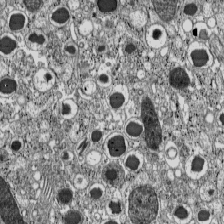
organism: C57BL Mouse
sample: Pancreatic islet